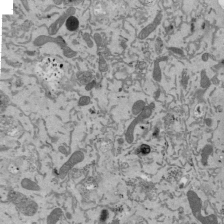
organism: Mouse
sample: ED-1 cell nuclei; centrioles